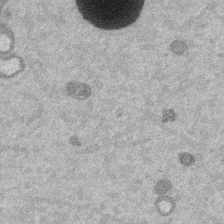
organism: Mouse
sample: Dividing mouse embryo 1 cell stage